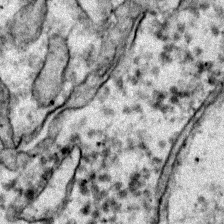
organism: Zebrafish